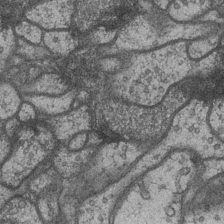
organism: Drosophila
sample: Optic medulla